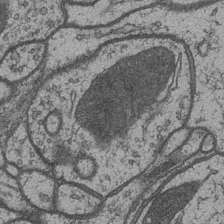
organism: Drosophila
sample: Optic medulla